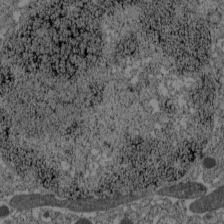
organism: C57BL Mouse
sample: Pancreatic islet